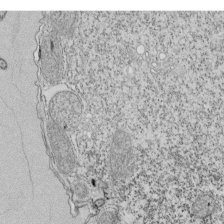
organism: Tetrahymena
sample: Cilia in tetrahymena